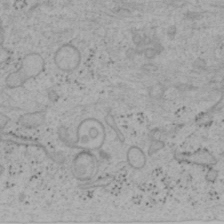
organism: Human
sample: HeLa cells